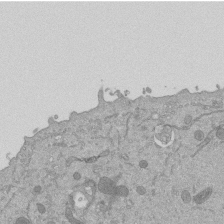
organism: Mouse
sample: ED-1 cell nuclei; centrioles